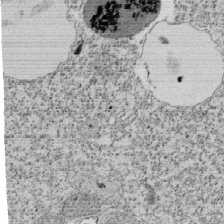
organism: Tetrahymena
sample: Cilia in tetrahymena